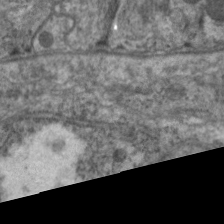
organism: C. elegans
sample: Pharynx